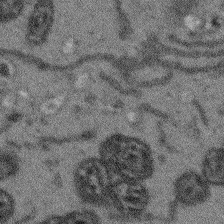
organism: Arabidopsis thaliana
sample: Root tip